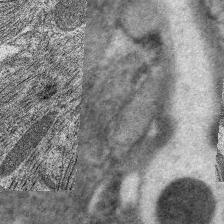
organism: C. elegans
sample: Pharynx